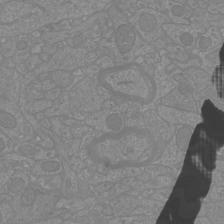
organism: Mouse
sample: Cortical neurons